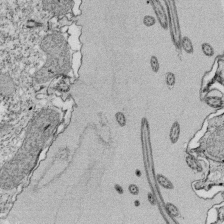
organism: Tetrahymena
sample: Cilia in tetrahymena